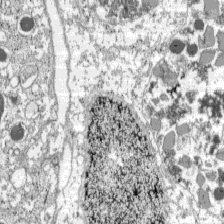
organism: C57BL Mouse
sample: Pancreatic islet